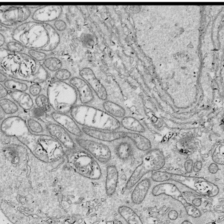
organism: Drosophila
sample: Cell division; meiosis; drosophila spermatocytes